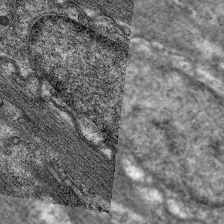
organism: C. elegans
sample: Pharynx